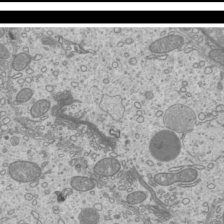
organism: Mouse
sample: Cilia; mouse epididymis